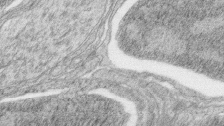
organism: Zebrafish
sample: synaptic ribbons in rod cells and cone cells